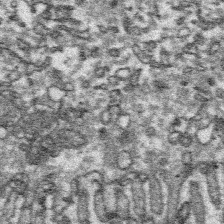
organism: Platynereis dumerilii